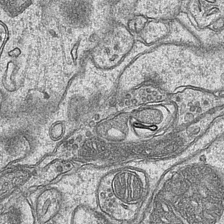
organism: Mouse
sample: CA1 Hippocampus